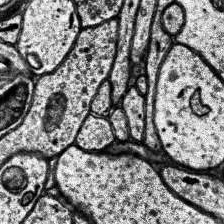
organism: Human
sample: Temporal Lobe